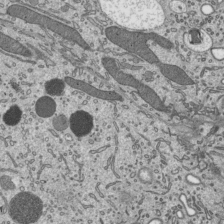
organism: Mouse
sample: Mouse epididymis efferent ductule cilia